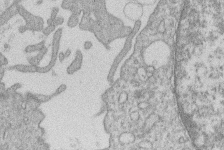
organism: Human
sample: Macrophage cells